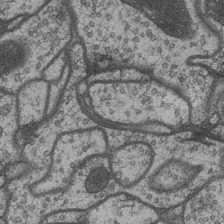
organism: Drosophila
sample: Optic medulla